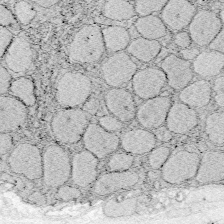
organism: Zebrafish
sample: Whole-Brain